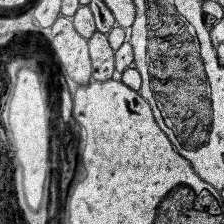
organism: Human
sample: Temporal Lobe